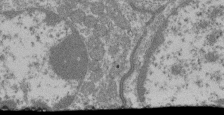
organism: Mouse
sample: Glomerulus